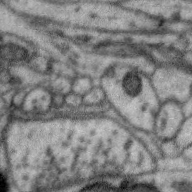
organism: Zebra finch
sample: Brain